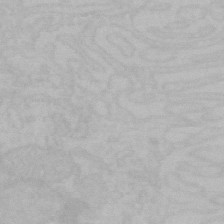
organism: Mouse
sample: Choroid plexus